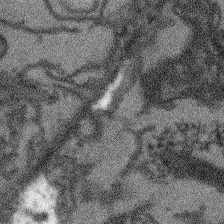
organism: Arabidopsis thaliana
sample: Root tip